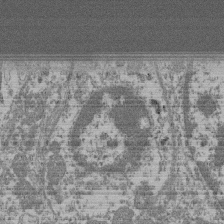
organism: Mouse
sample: Glomerulus